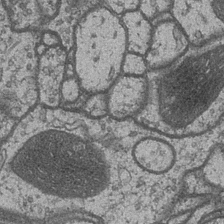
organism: Drosophila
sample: Optic medulla